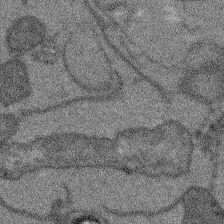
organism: Arabidopsis thaliana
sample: Root tip